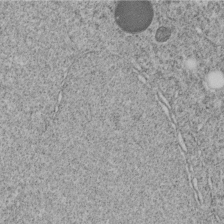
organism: C. elegans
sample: C. elegans embryo early stage